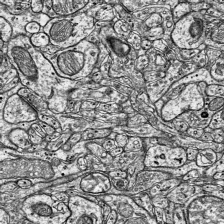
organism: Mouse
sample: Visual Cortex